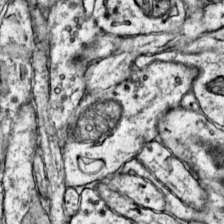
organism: Mouse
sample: Primary visual cortex